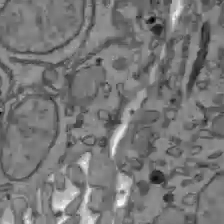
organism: C57BL Mouse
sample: Liver